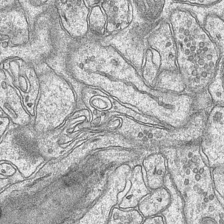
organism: Mouse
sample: CA1 Hippocampus